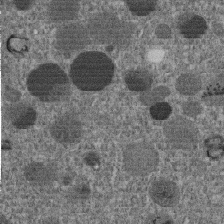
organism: C. elegans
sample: C. elegans embryo early stage